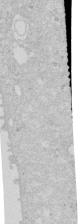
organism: Human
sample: Caco-2 cells